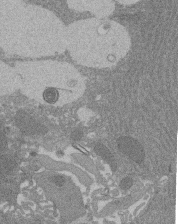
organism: Rat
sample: Salivary granule